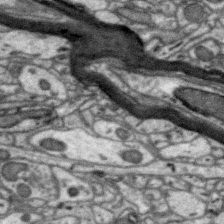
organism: Zebra finch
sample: Brain